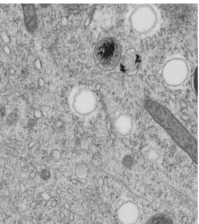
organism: C. elegans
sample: C. elegans embryo early stage